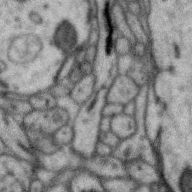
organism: Zebra finch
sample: Brain